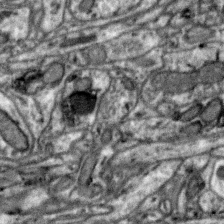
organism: Zebra finch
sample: Brain